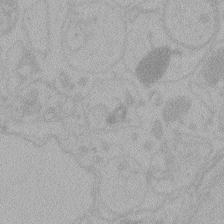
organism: Zebrafish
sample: Macrophage infected with Toxoplasma gondii